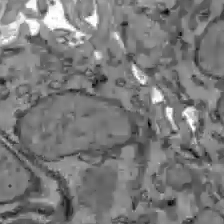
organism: C57BL Mouse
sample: Liver